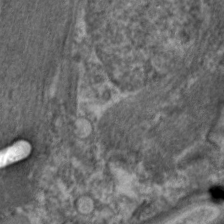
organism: C. elegans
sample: Pharynx